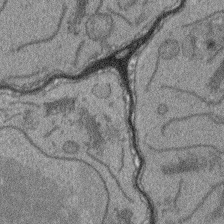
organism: Arabidopsis thaliana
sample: Root tip